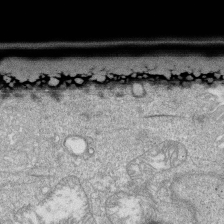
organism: Human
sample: HeLa cell HIV synapse